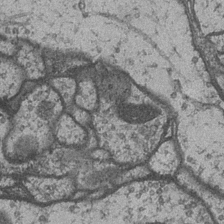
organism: Drosophila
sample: Optic medulla